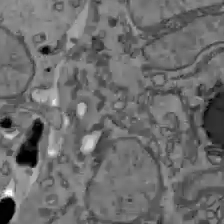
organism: C57BL Mouse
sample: Liver